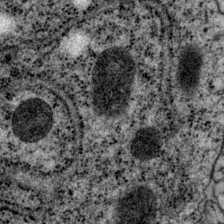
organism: P. pacificus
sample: Pharynx